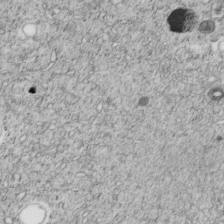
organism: C. elegans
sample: C. elegans embryo early stage